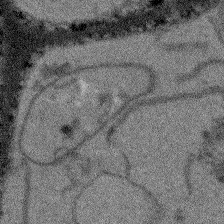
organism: Arabidopsis thaliana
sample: Root tip